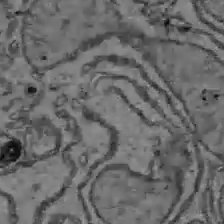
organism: C57BL Mouse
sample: Liver